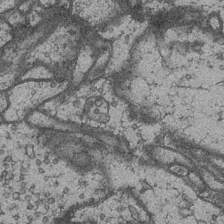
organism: Drosophila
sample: Optic medulla